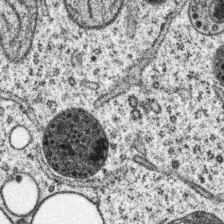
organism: Human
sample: HeLa cells